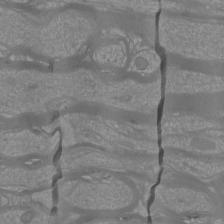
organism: Mouse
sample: Cortical neurons